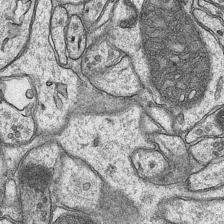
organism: Mouse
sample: CA1 Hippocampus